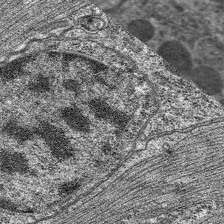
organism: C. elegans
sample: Pharynx